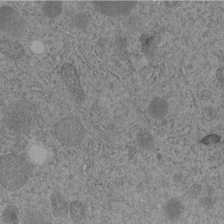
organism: C. elegans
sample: C. elegans embryo early stage